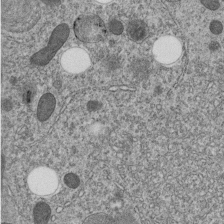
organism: C. elegans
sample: C. elegans embryo early stage